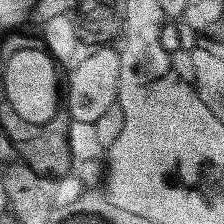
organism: Human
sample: Temporal Lobe